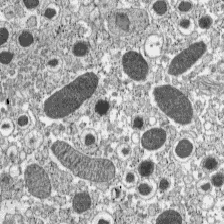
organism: C57BL Mouse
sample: Pancreatic islet